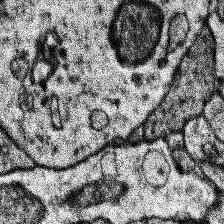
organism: Human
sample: Temporal Lobe